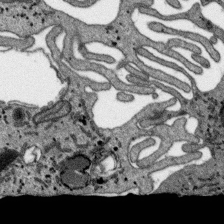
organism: Human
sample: Lung epithelial cells, uninfected (mock) control